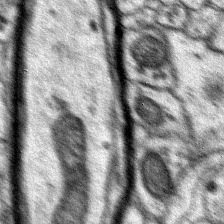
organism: Mouse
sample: Primary visual cortex